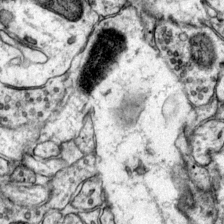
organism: Mouse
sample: Primary visual cortex